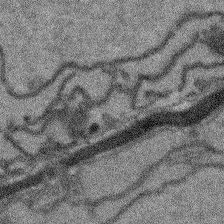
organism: Arabidopsis thaliana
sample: Root tip